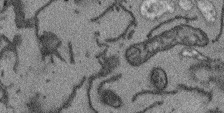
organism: Arabidopsis thaliana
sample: Root tip